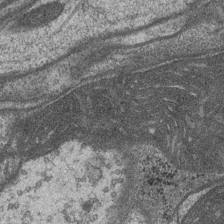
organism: Drosophila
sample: Optic medulla